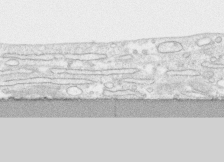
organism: Human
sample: CRL-1474